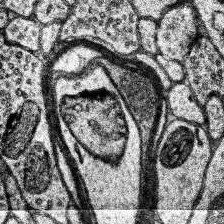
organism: Human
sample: Temporal Lobe